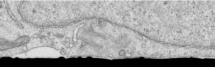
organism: Human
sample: Centriole in RPE cells